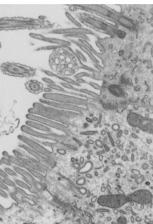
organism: Mouse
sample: Mouse epididymis efferent ductule cilia